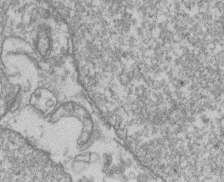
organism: Mouse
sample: T cell stromal cell synapse